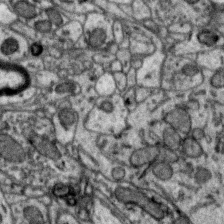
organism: Zebra finch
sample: Brain